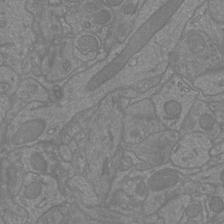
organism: Mouse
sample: Cortical neurons